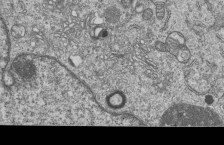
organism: Human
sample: MDA-MB-231 cells